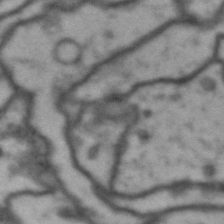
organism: Drosophila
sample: Brain